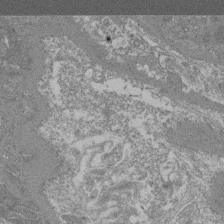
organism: Mouse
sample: Glomerulus